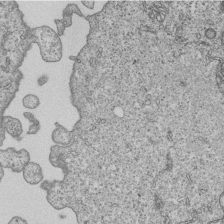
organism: Human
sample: MDA-MB-231 cells